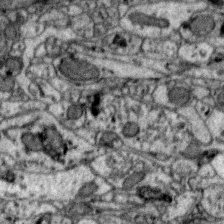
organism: Zebra finch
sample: Brain